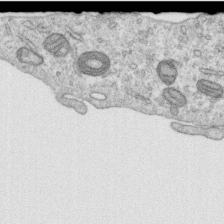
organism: Human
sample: Centriole in RPE cells